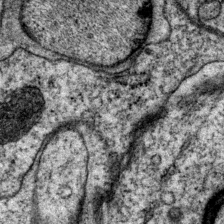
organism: P. pacificus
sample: Pharynx